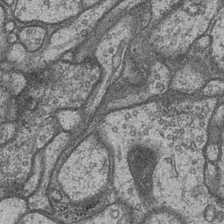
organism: Drosophila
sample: Optic medulla